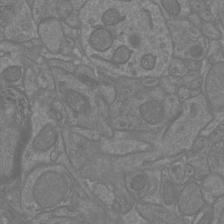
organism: Mouse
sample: Cortical neurons